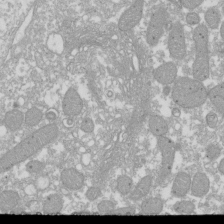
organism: Xenopus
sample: Cilia; centrioles in frog embryo cells